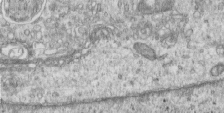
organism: Human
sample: Centriole in RPE cells